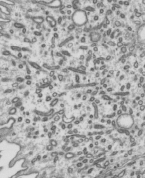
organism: Mouse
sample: Mouse epididymis efferent ductule cilia